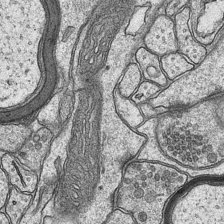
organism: Mouse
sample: CA1 Hippocampus